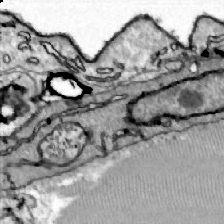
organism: Zebrafish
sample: Actinotrichia fibers